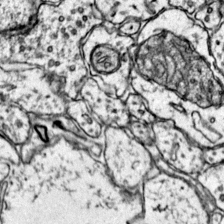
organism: Mouse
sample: Primary visual cortex